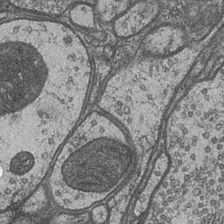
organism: Drosophila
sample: Optic medulla